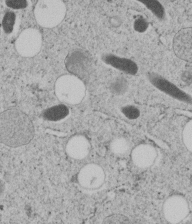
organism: C. elegans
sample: C. elegans embryo early stage